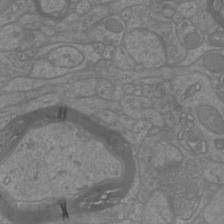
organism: Mouse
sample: Cortical neurons